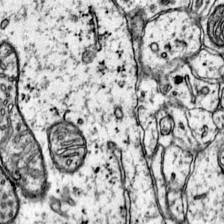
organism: Mouse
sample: Primary visual cortex